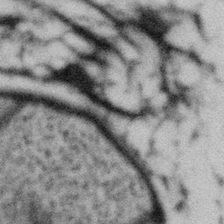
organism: Gemmata obscuriglobus